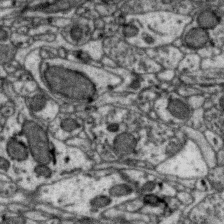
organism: Zebra finch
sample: Brain